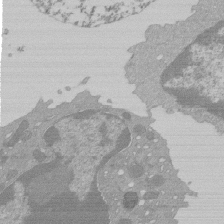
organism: Mouse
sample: Activated Pmel transgenic CD8+ T Cells